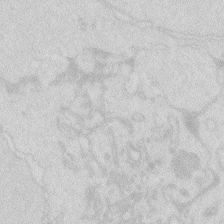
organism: Zebrafish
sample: Macrophage